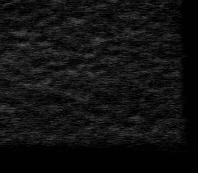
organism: Human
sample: HeLa cells